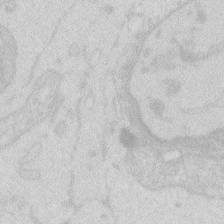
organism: Zebrafish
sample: Macrophage